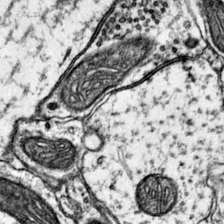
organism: Mouse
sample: Primary visual cortex